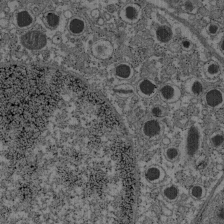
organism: C57BL Mouse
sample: Pancreatic islet